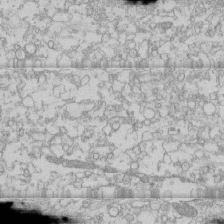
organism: Human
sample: CRL-1474